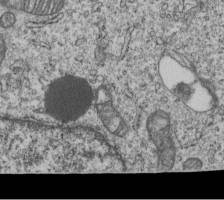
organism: Human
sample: MDA-MB-231 cells